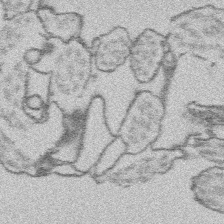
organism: Platynereis dumerilii